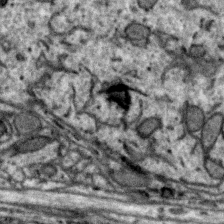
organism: Zebra finch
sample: Brain